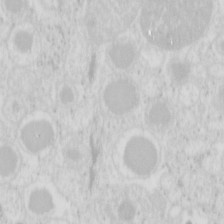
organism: Mouse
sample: Pancreas